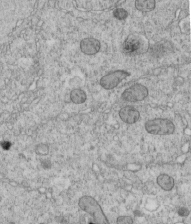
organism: C. elegans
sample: C. elegans embryo early stage